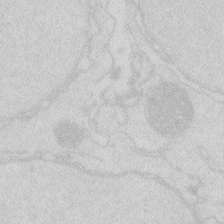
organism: Zebrafish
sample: Macrophage